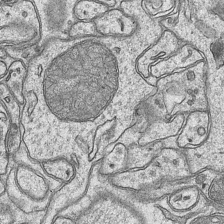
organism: Mouse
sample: CA1 Hippocampus